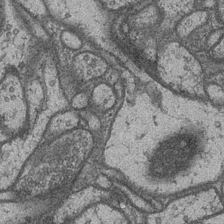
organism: Drosophila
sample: Optic medulla